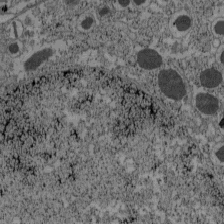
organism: C57BL Mouse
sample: Pancreatic islet